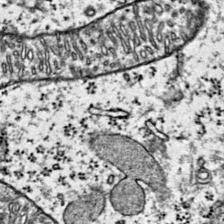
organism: Mouse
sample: Primary visual cortex